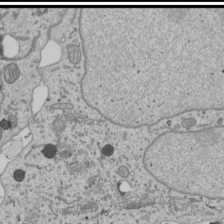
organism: Human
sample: Mitochondria in U2OS cells